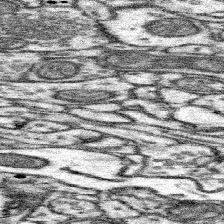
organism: Mouse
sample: Somatosensory cortex neuropil